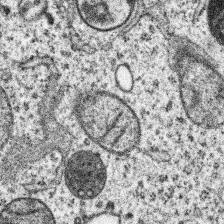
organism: Human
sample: HeLa cells